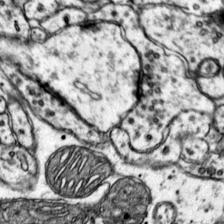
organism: Mouse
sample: Primary visual cortex